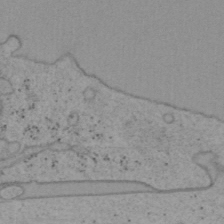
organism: Human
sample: HeLa cells